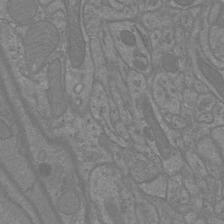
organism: Mouse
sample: Cortical neurons